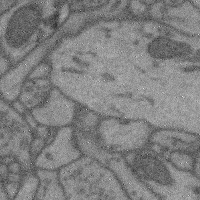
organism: Mouse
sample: Cerebral cortex